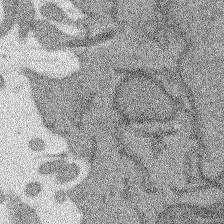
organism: Human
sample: HeLa cells